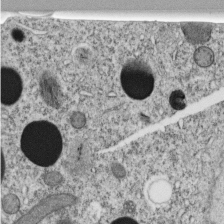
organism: C. elegans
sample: C. elegans embryo early stage